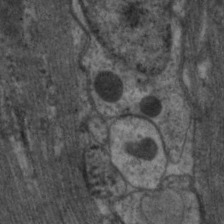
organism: C. elegans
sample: Pharynx